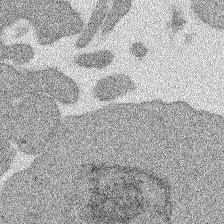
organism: Human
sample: HeLa cells